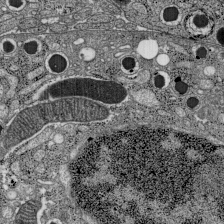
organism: C57BL Mouse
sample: Pancreatic islet